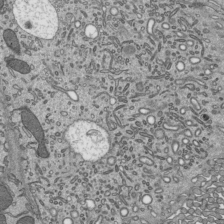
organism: Mouse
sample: Mouse epididymis efferent ductule cilia